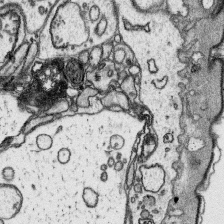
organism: Platynereis dumerilii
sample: Parapodia